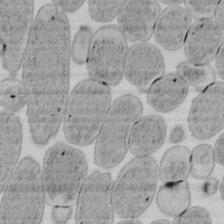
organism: E. coli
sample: Bacterial nucleoid